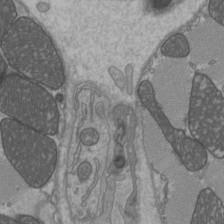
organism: C57BL Mouse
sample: Heart